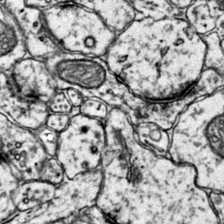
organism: Mouse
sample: Primary visual cortex